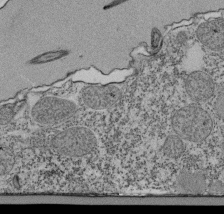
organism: Tetrahymena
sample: Cilia in tetrahymena